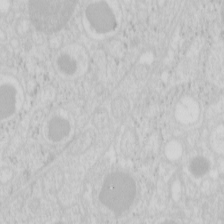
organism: Mouse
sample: Pancreas